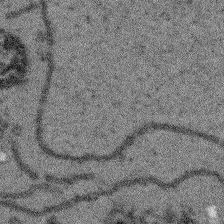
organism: Arabidopsis thaliana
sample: Root tip